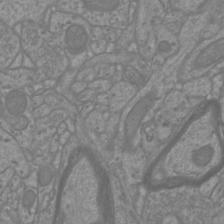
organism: Mouse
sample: Cortical neurons